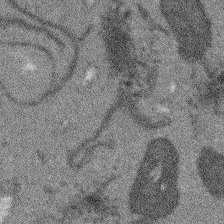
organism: Arabidopsis thaliana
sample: Root tip